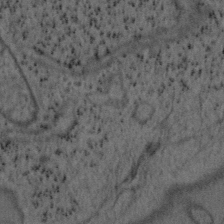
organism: Human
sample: HeLa cells